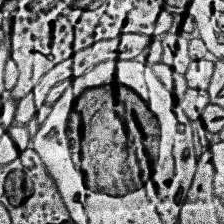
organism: Human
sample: Temporal Lobe